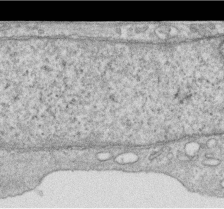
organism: Human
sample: Centriole in RPE cells